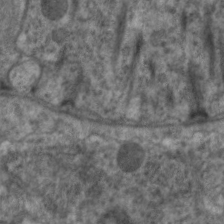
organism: C. elegans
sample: Pharynx